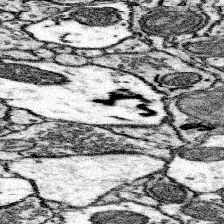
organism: Mouse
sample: Somatosensory cortex neuropil